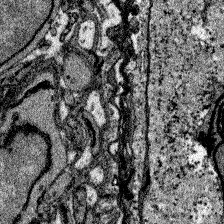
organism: Zebrafish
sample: Larval olfactory bulb